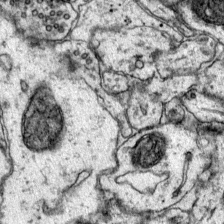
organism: Mouse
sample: Primary visual cortex